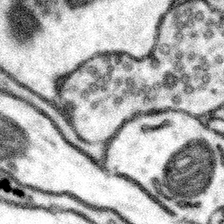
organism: Mouse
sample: Somatosensory cortex neuropil